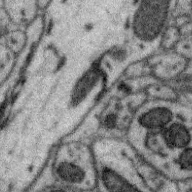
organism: Zebra finch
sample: Brain